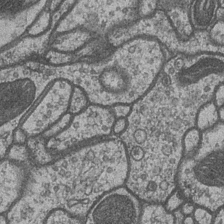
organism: Drosophila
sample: Optic medulla